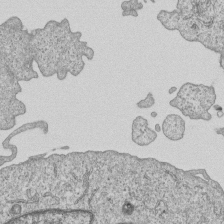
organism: Human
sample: MDA-MB-231 cells